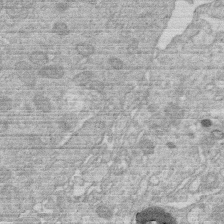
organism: Human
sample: Macrophage cells